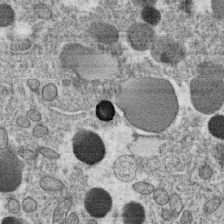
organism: C. elegans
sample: C. elegans oocyte; sperm cells